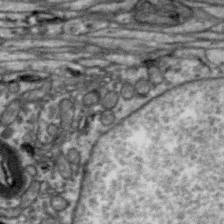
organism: Zebra finch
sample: Brain